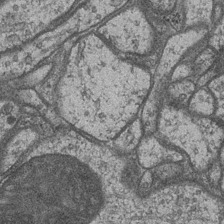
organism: Drosophila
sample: Optic medulla